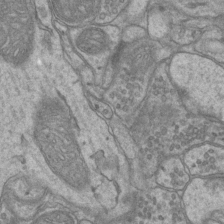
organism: Mouse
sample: CA1 Hippocampus